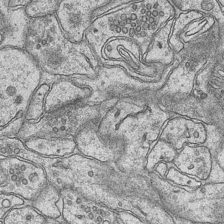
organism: Mouse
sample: CA1 Hippocampus